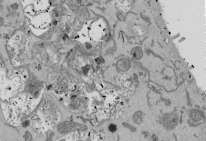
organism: Mouse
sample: ED-1 cell nuclei; centrioles